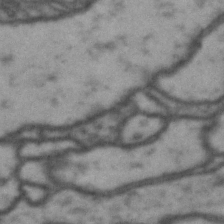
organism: Drosophila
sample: Brain